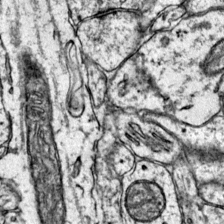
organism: Mouse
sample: Primary visual cortex